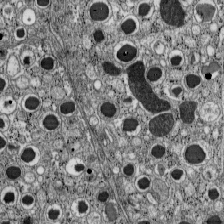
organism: C57BL Mouse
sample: Pancreatic islet